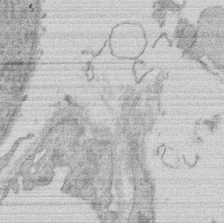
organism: Rat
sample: Salivary granule